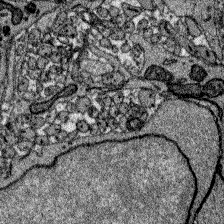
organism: Zebrafish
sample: Larval olfactory bulb